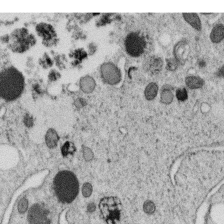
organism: C. elegans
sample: C. elegans oocyte; sperm cells